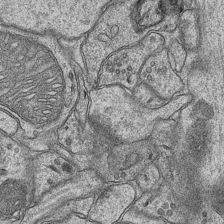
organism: Mouse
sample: CA1 Hippocampus